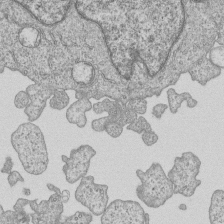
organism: Human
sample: MDA-MB-231 cells